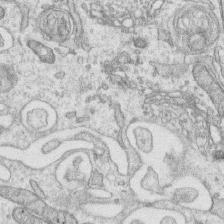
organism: Human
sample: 1205lu cells